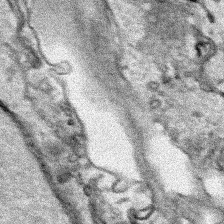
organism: Human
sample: Mitochondria in HCT116 cells